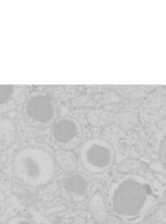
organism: Mouse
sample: Pancreas